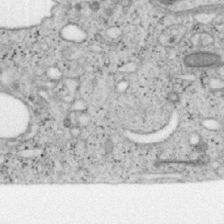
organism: Mouse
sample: OT-I killer T cells with ID8 ovarian cancer cells